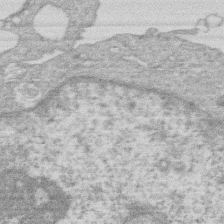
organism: Human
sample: Macrophage cells